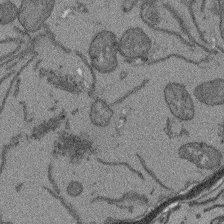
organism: Arabidopsis thaliana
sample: Root tip